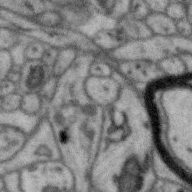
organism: Zebra finch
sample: Brain